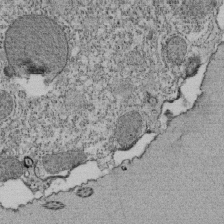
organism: Tetrahymena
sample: Cilia in tetrahymena